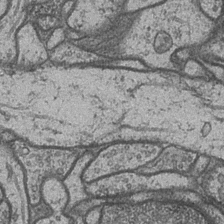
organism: Drosophila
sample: Optic medulla